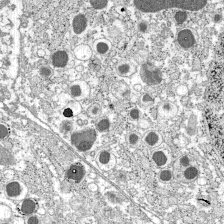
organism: C57BL Mouse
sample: Pancreatic islet